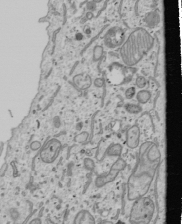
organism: Human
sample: Mitochondria in U2OS cells